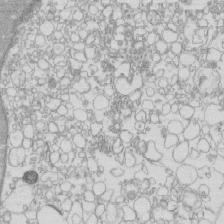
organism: Mouse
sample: Macrophages